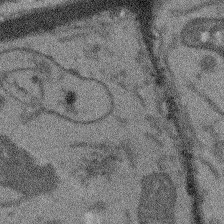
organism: Arabidopsis thaliana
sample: Root tip